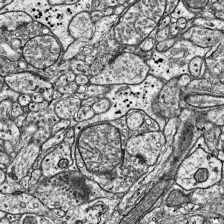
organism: Mouse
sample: Visual Cortex